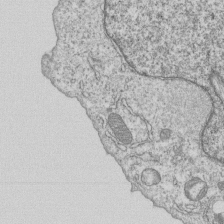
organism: Human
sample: MDA-MB-231 cells